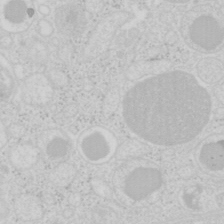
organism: Mouse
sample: Pancreas